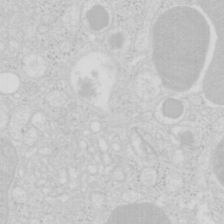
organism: Mouse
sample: Pancreas